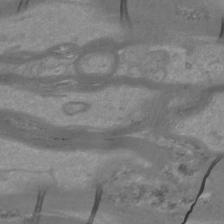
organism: Mouse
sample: Cortical neurons